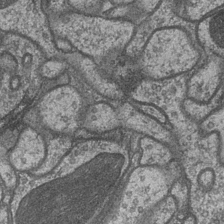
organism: Drosophila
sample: Optic medulla